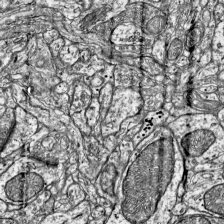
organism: Mouse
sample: Visual Cortex